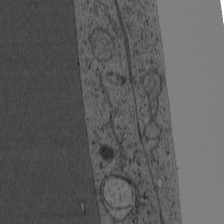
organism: African green monkey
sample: COS-7 cells